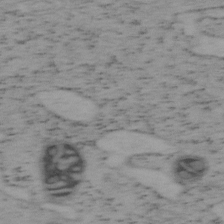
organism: Mouse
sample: OT-I killer T cells with ID8 ovarian cancer cells